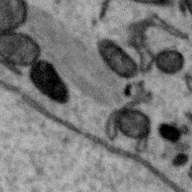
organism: Zebra finch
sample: Brain